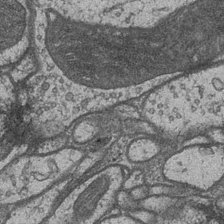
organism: Drosophila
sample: Optic medulla